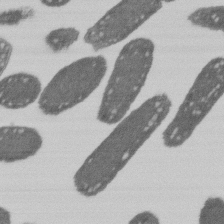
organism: E. coli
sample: Bacterial nucleoid